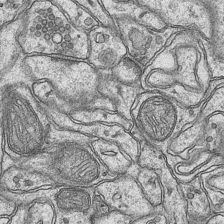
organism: Mouse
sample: CA1 Hippocampus